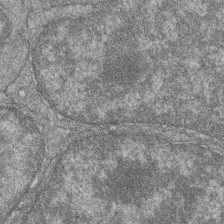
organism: Zebrafish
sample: Cilia; retinal pigment epithelium